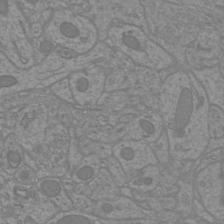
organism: Mouse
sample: Cortical neurons